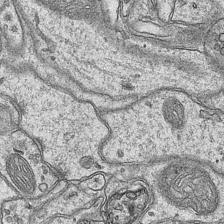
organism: Mouse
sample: CA1 Hippocampus